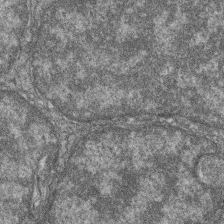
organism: Zebrafish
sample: Cilia; retinal pigment epithelium